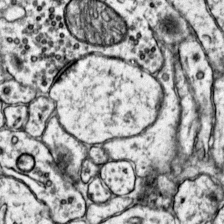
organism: Mouse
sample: Primary visual cortex